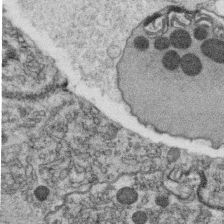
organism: C. elegans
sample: C. elegans oocyte; sperm cells